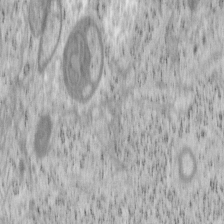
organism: Human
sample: HeLa cells